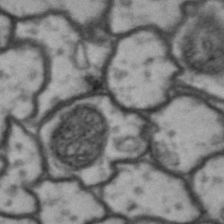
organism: Drosophila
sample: Brain